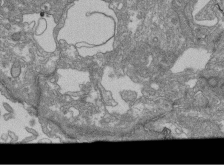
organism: Human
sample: Retinal organoid Rod and Cone cells